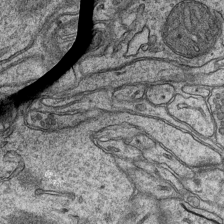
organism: Mouse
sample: CA1 Hippocampus